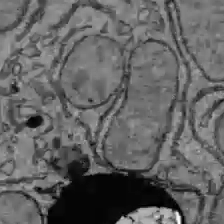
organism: C57BL Mouse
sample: Liver